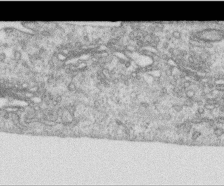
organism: Human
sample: Centriole in RPE cells